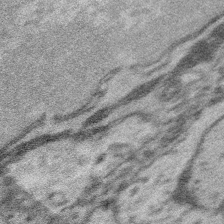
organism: Platynereis dumerilii